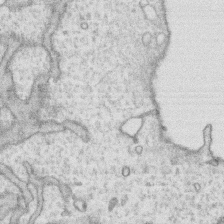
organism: Human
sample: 1205lu cells